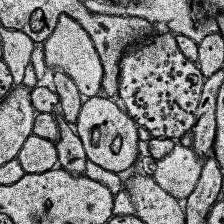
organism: Human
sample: Temporal Lobe